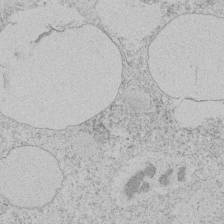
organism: Tetrahymena